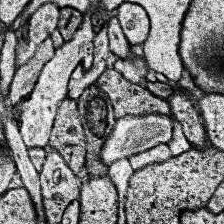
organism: Human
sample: Temporal Lobe